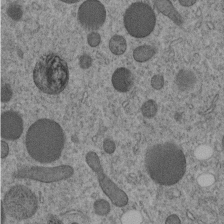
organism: C. elegans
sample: C. elegans embryo early stage